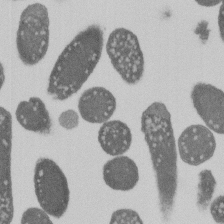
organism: E. coli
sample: Bacterial nucleoid